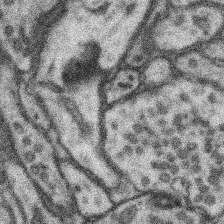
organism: Mouse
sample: Somatosensory cortex neuropil